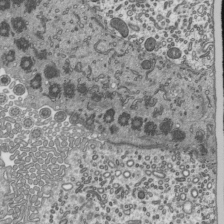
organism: Mouse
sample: Mouse epididymis efferent ductule cilia